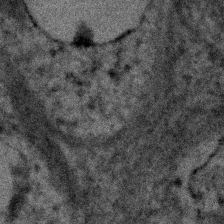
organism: Human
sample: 1205lu cells